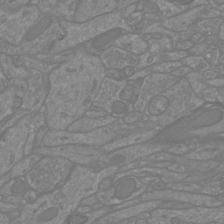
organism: Mouse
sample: Cortical neurons